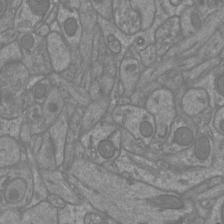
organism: Mouse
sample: Cortical neurons